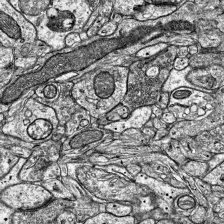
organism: Mouse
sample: Visual Cortex